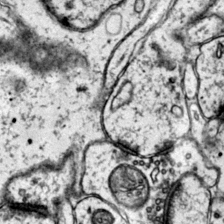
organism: Mouse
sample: Primary visual cortex